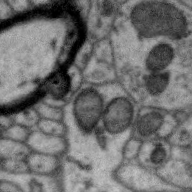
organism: Zebra finch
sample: Brain